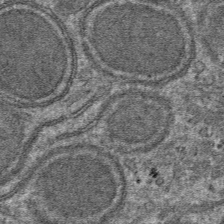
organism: Mouse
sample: Mouse hepatocytes